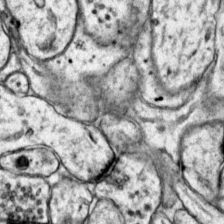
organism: Mouse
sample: Primary visual cortex